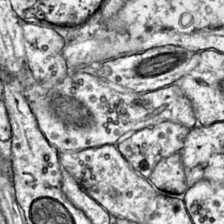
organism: Mouse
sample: Primary visual cortex